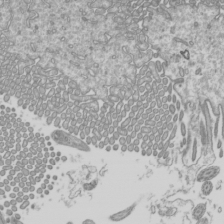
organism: Mouse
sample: Cilia; mouse epididymis